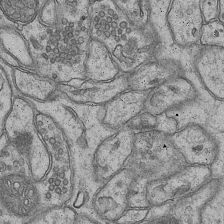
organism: Mouse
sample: CA1 Hippocampus